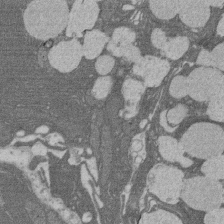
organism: Rat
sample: Salivary granule